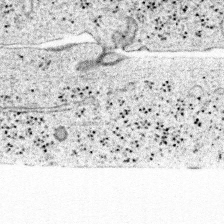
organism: Human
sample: HeLa cells